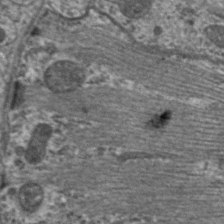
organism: C. elegans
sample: Pharynx